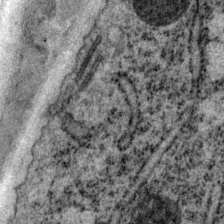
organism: P. pacificus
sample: Pharynx